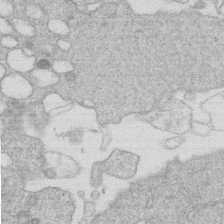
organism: Human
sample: Macrophage cells